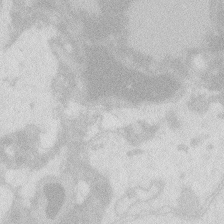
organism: Zebrafish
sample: Macrophage